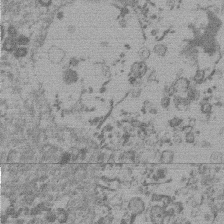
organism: Mouse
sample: Dividing mouse embryo 1 cell stage